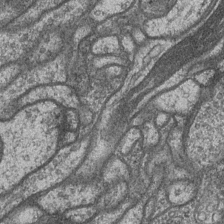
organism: Drosophila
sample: Optic medulla